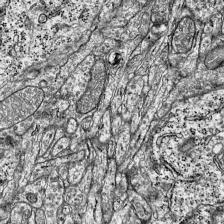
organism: Mouse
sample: Visual Cortex